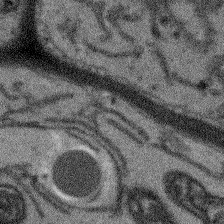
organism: Arabidopsis thaliana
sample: Root tip